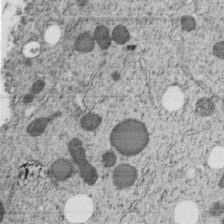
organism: C. elegans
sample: C. elegans embryo early stage